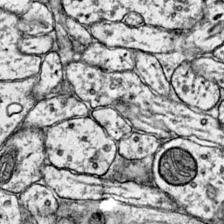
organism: Mouse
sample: Primary visual cortex